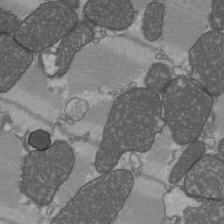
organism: C57BL Mouse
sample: Heart